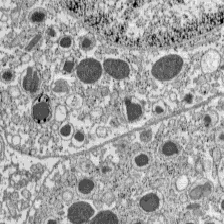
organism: C57BL Mouse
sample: Pancreatic islet